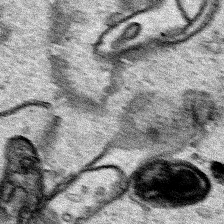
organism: Human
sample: Mitochondria in HCT116 cells